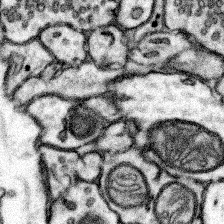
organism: Mouse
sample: Somatosensory cortex neuropil